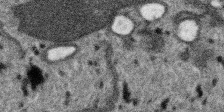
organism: Human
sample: Lung epithelial cells infected with SARS-CoV-2